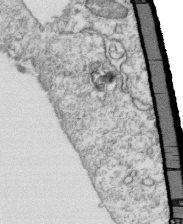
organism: Mouse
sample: Activated OT-1 CD8+ T cells